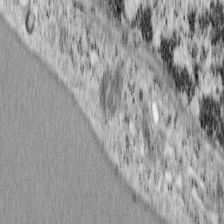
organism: Human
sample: HeLa cells